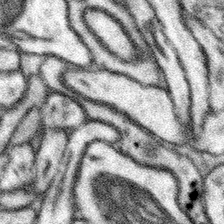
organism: Mouse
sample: Somatosensory cortex neuropil